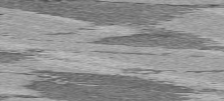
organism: C57BL Mouse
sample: Heart